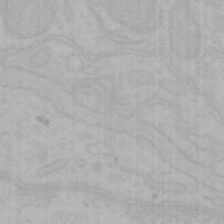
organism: Mouse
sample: Choroid plexus